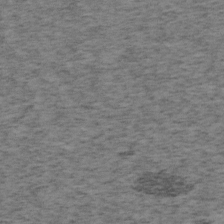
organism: Mouse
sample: OT-I killer T cells with ID8 ovarian cancer cells